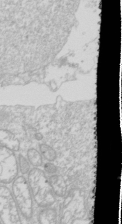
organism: Drosophila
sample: Cell division; meiosis; drosophila spermatocytes